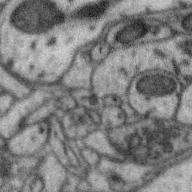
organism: Zebra finch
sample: Brain